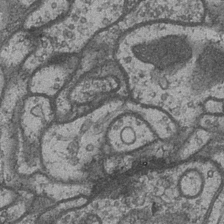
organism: Drosophila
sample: Optic medulla